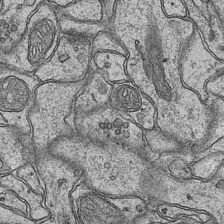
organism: Mouse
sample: CA1 Hippocampus